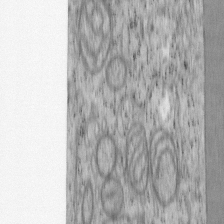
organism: Human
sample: HeLa cells